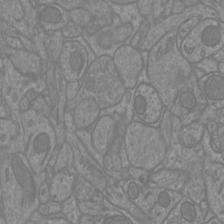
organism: Mouse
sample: Cortical neurons